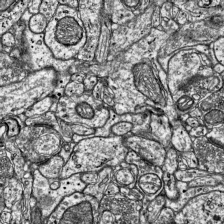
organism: Mouse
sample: Visual Cortex